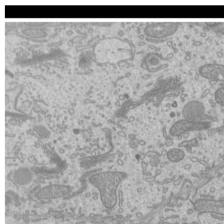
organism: Mouse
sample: Cilia; mouse epididymis